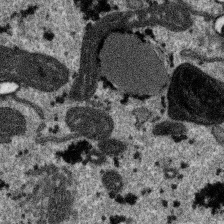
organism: Human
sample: Lung epithelial cells infected with SARS-CoV-2